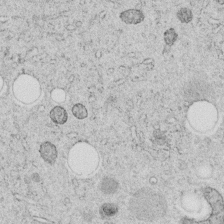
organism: C. elegans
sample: C. elegans embryo early stage